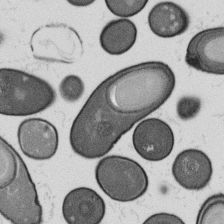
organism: B. subtilis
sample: Bacterial spore